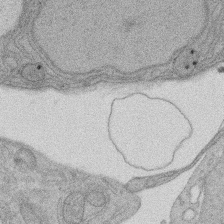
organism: Rat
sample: Salivary granule